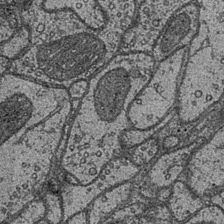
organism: Drosophila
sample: Optic medulla